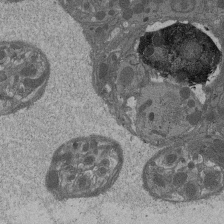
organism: Drosophila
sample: Antenna